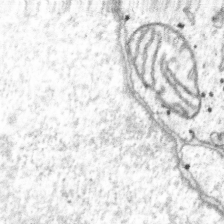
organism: Human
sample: HeLa cells